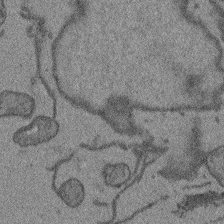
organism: Arabidopsis thaliana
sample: Root tip